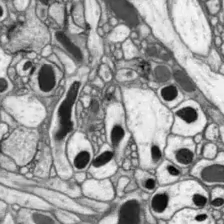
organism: Drosophila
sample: Optic lobe